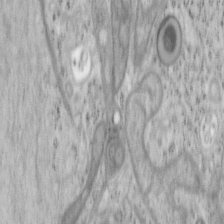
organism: Human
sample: HeLa cells